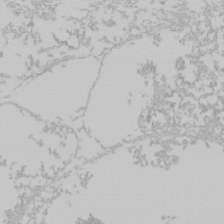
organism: Mouse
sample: Cancer cell death in ED-1 cells